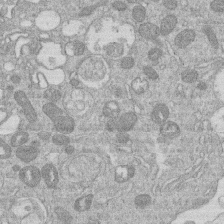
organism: Human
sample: Macrophage cells